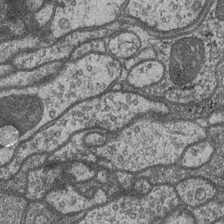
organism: Drosophila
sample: Optic medulla